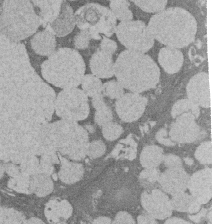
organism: Rat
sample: Salivary granule